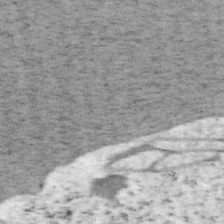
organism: Mouse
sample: OT-I killer T cells with ID8 ovarian cancer cells